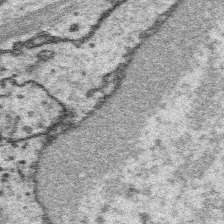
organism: Platynereis dumerilii